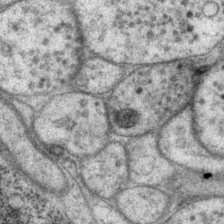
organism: P. pacificus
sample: Pharynx